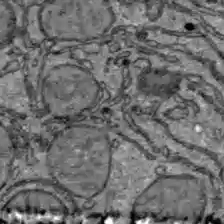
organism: C57BL Mouse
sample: Liver